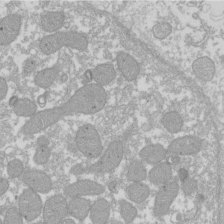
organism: Xenopus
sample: Cilia; centrioles in frog embryo cells